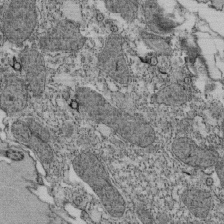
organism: Tetrahymena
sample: Cilia in tetrahymena